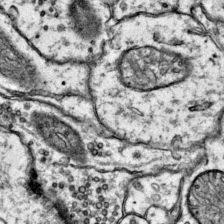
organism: Mouse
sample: Primary visual cortex